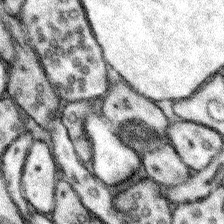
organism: Mouse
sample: Somatosensory cortex neuropil